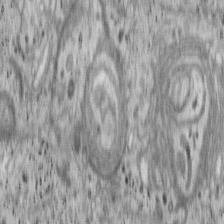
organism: Human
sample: HeLa cells